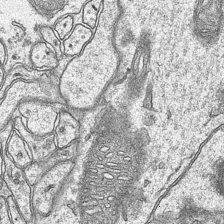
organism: Mouse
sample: CA1 Hippocampus